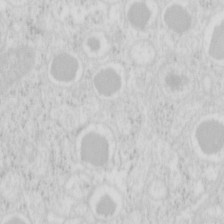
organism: Mouse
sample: Pancreas